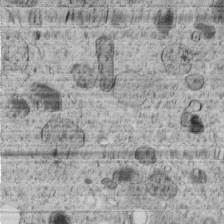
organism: C. elegans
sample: C. elegans embryo early stage